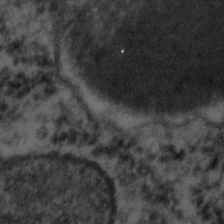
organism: C. elegans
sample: C. elegans embryo